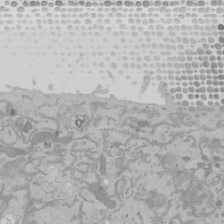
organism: Mouse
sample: Cancer cell death in ED-1 cells